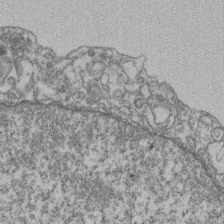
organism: Mouse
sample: T cell stromal cell synapse